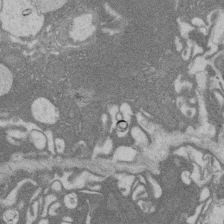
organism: Rat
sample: Salivary granule